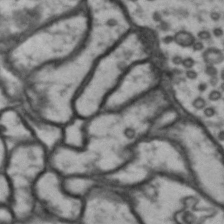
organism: Drosophila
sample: Brain